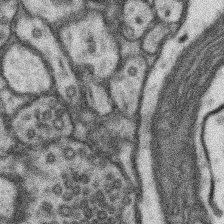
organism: Mouse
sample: Somatosensory cortex neuropil